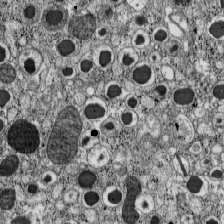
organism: C57BL Mouse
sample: Pancreatic islet